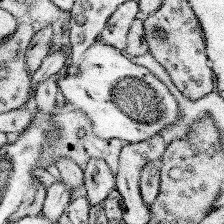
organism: Mouse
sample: Somatosensory cortex neuropil